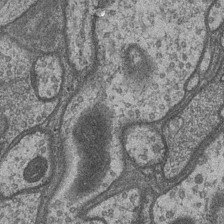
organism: Drosophila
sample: Optic medulla